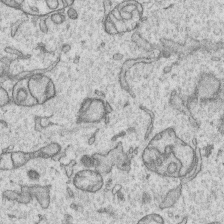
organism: Human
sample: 1205lu cells